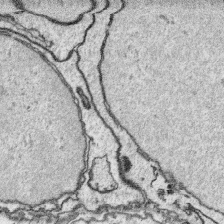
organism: Platynereis dumerilii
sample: Parapodia